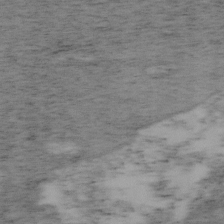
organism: Mouse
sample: OT-I killer T cells with ID8 ovarian cancer cells